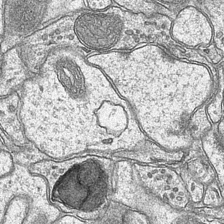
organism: Mouse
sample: CA1 Hippocampus